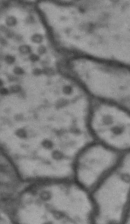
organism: Drosophila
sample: Brain